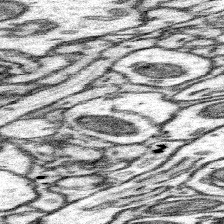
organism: Mouse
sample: Somatosensory cortex neuropil